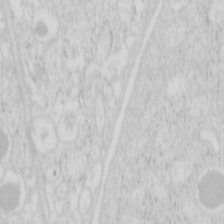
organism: Mouse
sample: Pancreas